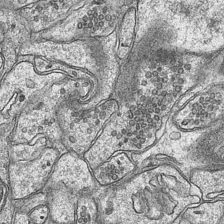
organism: Mouse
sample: CA1 Hippocampus